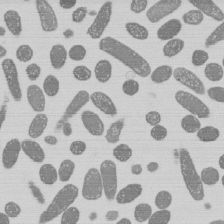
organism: E. coli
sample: Bacterial nucleoid